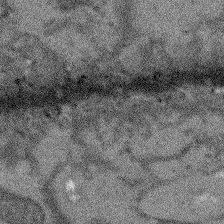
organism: Arabidopsis thaliana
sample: Root tip